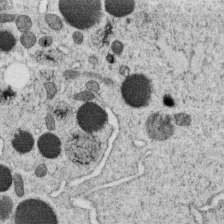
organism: C. elegans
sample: C. elegans oocyte; sperm cells